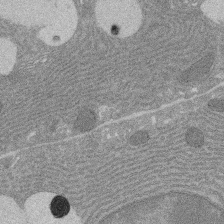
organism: Rat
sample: Salivary granule